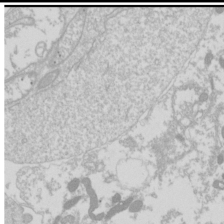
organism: Drosophila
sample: Cell division; meiosis; drosophila spermatocytes